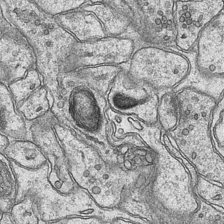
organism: Mouse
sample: CA1 Hippocampus